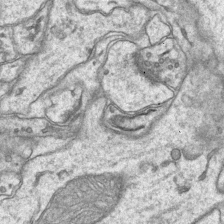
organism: Mouse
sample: CA1 Hippocampus